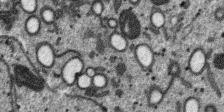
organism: Human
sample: Lung epithelial cells infected with SARS-CoV-2